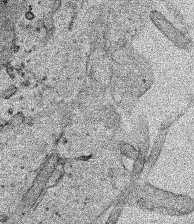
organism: Human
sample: Mitochondria in HCT116 cells